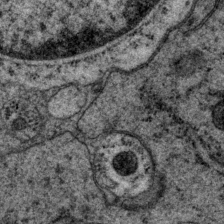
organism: P. pacificus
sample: Pharynx